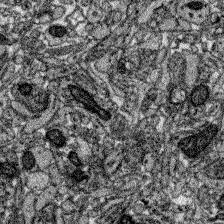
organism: Zebrafish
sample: Larval olfactory bulb